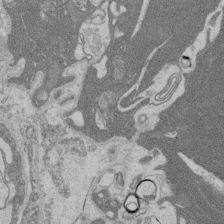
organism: Rat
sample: Salivary granule